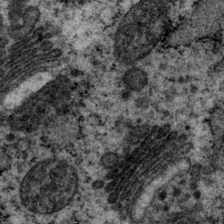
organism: P. pacificus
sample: Pharynx